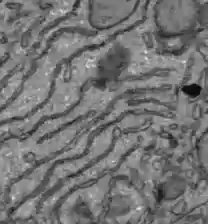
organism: C57BL Mouse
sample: Liver